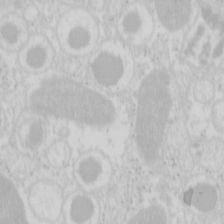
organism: Mouse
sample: Pancreas